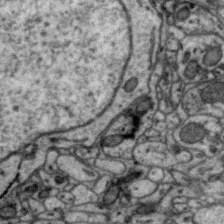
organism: Zebra finch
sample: Brain